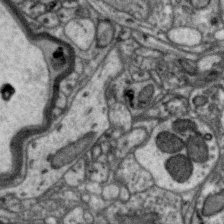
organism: Zebra finch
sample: Brain